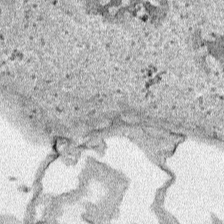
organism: Human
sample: Mitochondria in HCT116 cells